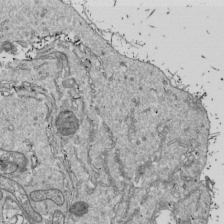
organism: Drosophila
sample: Cell division; meiosis; drosophila spermatocytes